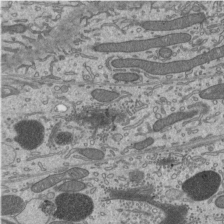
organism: Mouse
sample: Mouse epididymis efferent ductule cilia